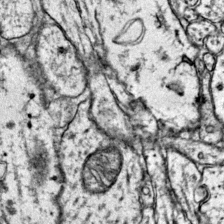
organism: Mouse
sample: Primary visual cortex